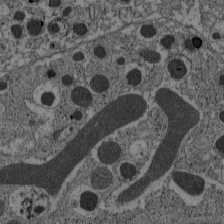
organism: C57BL Mouse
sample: Pancreatic islet